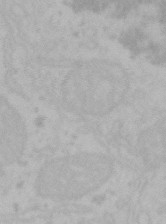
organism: Mouse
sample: Choroid plexus